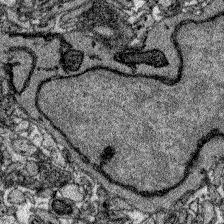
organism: Zebrafish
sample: Larval olfactory bulb